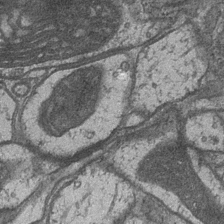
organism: Drosophila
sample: Optic medulla